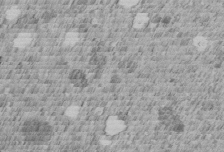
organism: C. elegans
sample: C. elegans embryo early stage